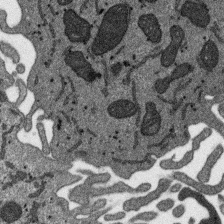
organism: Human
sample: Lung epithelial cells infected with SARS-CoV-2